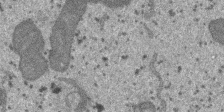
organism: Human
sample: Lung epithelial cells infected with SARS-CoV-2